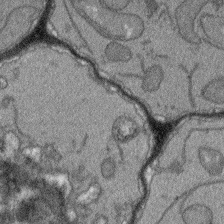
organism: Arabidopsis thaliana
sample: Root tip